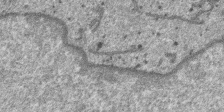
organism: Human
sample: Lung epithelial cells infected with SARS-CoV-2